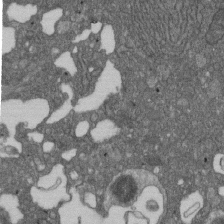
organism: Drosophila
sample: Nephrocyte